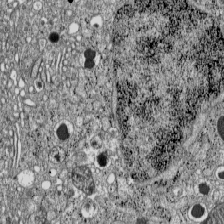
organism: C57BL Mouse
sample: Pancreatic islet